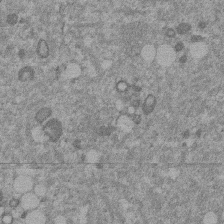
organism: Mouse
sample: Dividing mouse embryo 1 cell stage